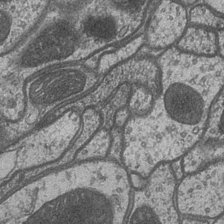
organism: Drosophila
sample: Optic medulla